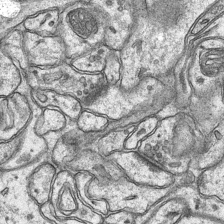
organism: Mouse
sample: CA1 Hippocampus